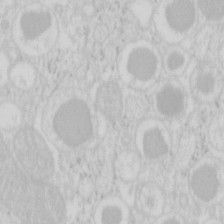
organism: Mouse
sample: Pancreas